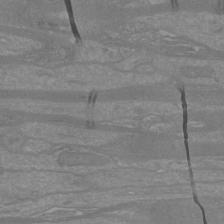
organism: Mouse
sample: Cortical neurons